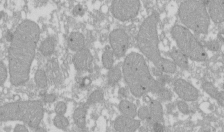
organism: Xenopus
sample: Cilia; centrioles in frog embryo cells